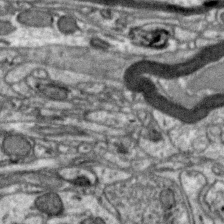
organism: Zebra finch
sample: Brain